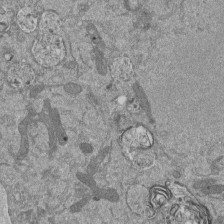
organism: Mouse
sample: ED-1 cell nuclei; centrioles